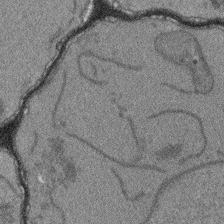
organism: Arabidopsis thaliana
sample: Root tip